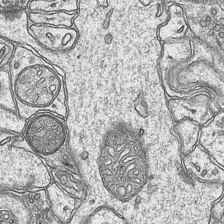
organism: Mouse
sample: CA1 Hippocampus